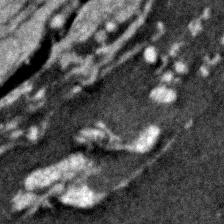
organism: Zebrafish